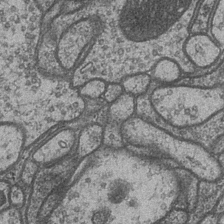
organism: Drosophila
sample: Optic medulla